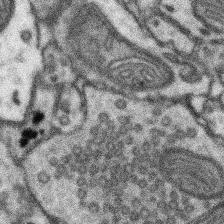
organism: Mouse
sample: Somatosensory cortex neuropil